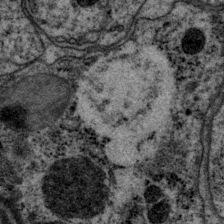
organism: P. pacificus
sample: Pharynx